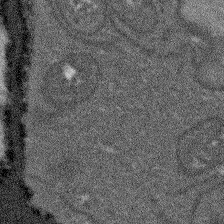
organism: Arabidopsis thaliana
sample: Root tip